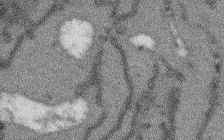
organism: Arabidopsis thaliana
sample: Root tip